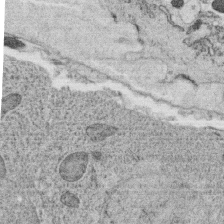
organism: C. elegans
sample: C. elegans oocyte; sperm cells